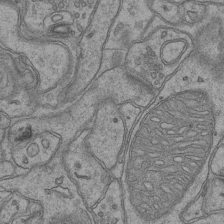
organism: Mouse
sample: CA1 Hippocampus